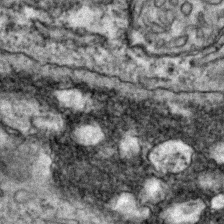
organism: Zebrafish